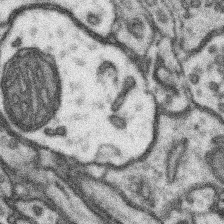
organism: Mouse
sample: Somatosensory cortex neuropil